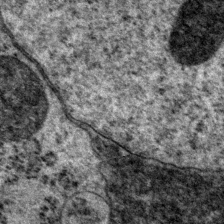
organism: P. pacificus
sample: Pharynx